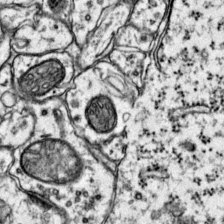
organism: Mouse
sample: Primary visual cortex